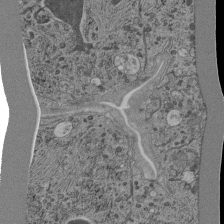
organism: C. elegans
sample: C. elegans pharynx